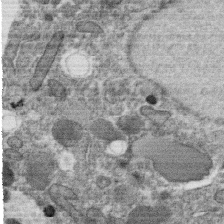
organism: C. elegans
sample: C. elegans oocyte; sperm cells